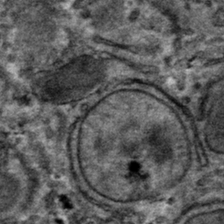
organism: Mouse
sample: Mouse hepatocytes